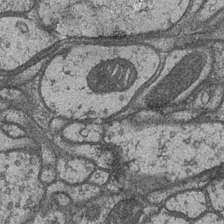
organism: Drosophila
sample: Optic medulla